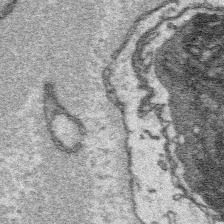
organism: Platynereis dumerilii